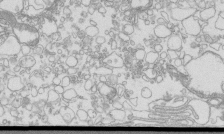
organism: Mouse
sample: Macrophages